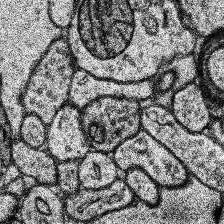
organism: Human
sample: Temporal Lobe